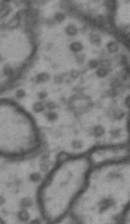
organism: Drosophila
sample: Brain